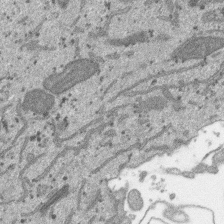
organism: Human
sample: Lung epithelial cells infected with SARS-CoV-2